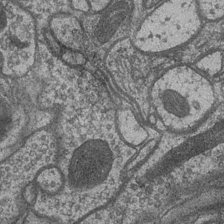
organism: Drosophila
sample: Optic medulla